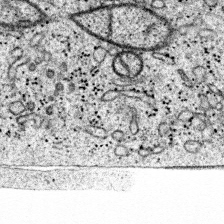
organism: Human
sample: HeLa cells